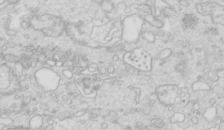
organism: Mouse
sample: Multiciliated cells